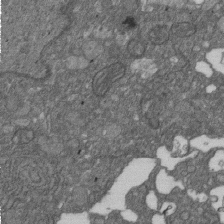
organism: Drosophila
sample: Nephrocyte